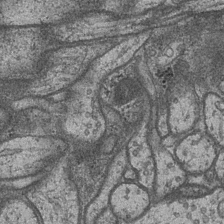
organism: Drosophila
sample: Optic medulla